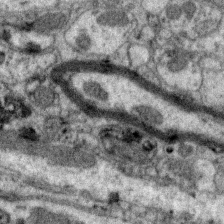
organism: Zebra finch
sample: Brain